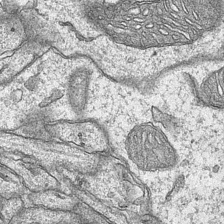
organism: Mouse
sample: CA1 Hippocampus